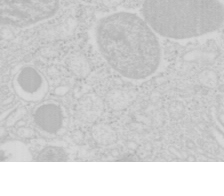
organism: Mouse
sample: Pancreas